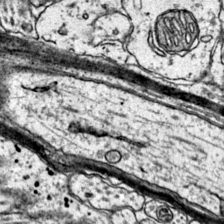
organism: Mouse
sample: Primary visual cortex